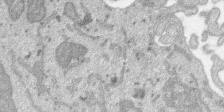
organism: Human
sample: Lung epithelial cells infected with SARS-CoV-2